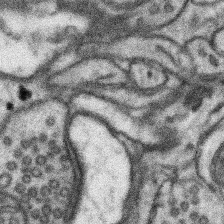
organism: Mouse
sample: Somatosensory cortex neuropil